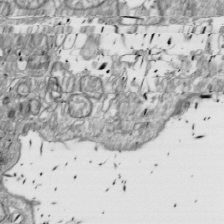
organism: Drosophila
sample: Cell division; meiosis; drosophila spermatocytes